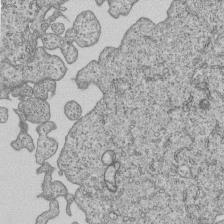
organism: Human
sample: MDA-MB-231 cells